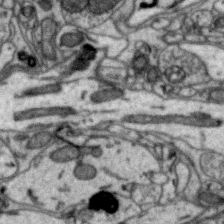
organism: Zebra finch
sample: Brain